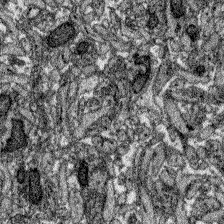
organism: Zebrafish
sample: Larval olfactory bulb